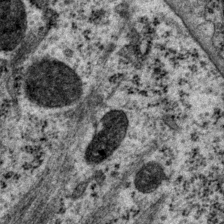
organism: P. pacificus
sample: Pharynx